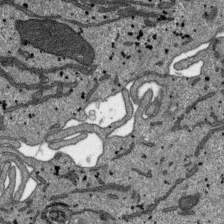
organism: Human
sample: Lung epithelial cells, uninfected (mock) control